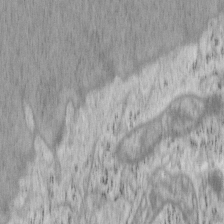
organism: Human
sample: HeLa cells